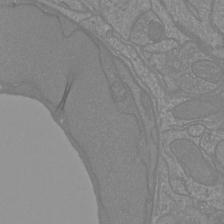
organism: Mouse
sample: Cortical neurons